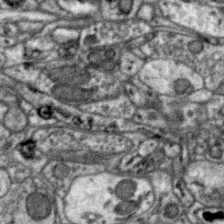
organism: Zebra finch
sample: Brain